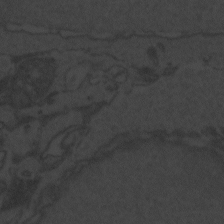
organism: Zebrafish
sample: Macrophage infected with Toxoplasma gondii